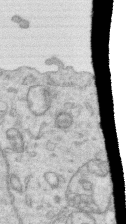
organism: Human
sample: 1205lu cells